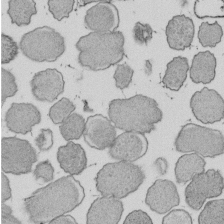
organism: E. coli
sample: Bacterial nucleoid